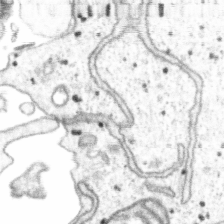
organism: Human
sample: HeLa cells